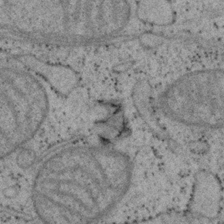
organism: Human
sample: HeLa cells